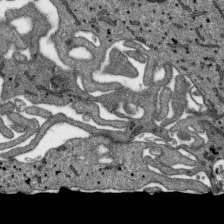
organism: Human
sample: Lung epithelial cells, uninfected (mock) control